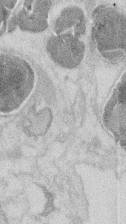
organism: Mouse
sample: T cell stromal cell synapse